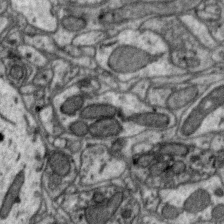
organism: Zebra finch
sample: Brain